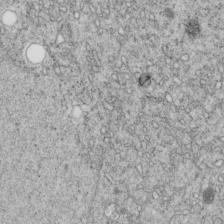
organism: C. elegans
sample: C. elegans embryo early stage